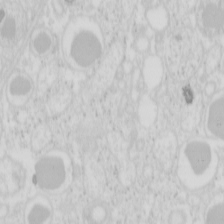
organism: Mouse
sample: Pancreas